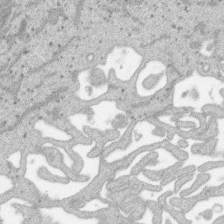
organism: Human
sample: Lung epithelial cells infected with SARS-CoV-2